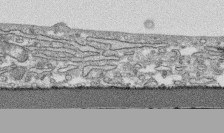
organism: Human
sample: CRL-1474